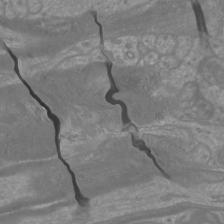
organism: Mouse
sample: Cortical neurons